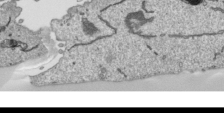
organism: Human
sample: Mitochondria in HCT116 cells